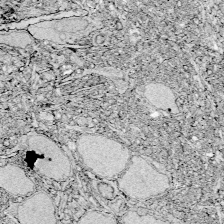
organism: Zebrafish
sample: Whole-Brain